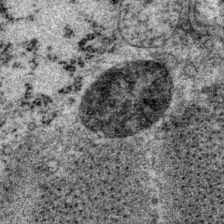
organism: P. pacificus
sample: Pharynx